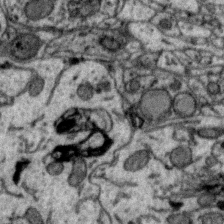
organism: Zebra finch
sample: Brain